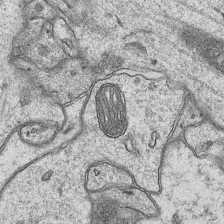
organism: Mouse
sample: CA1 Hippocampus